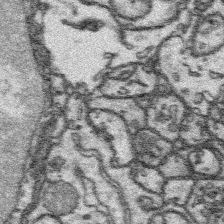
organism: Platynereis dumerilii